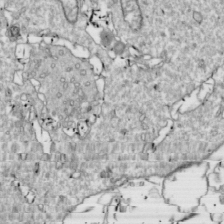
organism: Drosophila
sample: Cell division; meiosis; drosophila spermatocytes